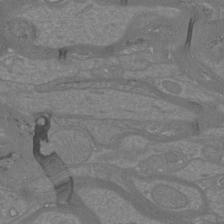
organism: Mouse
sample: Cortical neurons